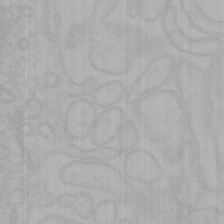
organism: Mouse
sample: Choroid plexus